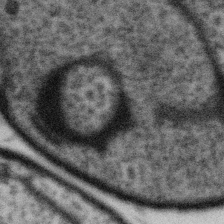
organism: Gemmata obscuriglobus